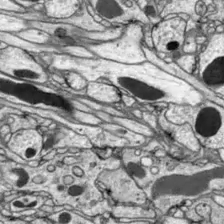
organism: Drosophila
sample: Optic lobe